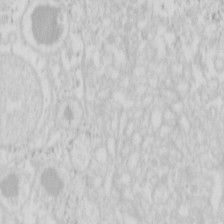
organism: Mouse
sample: Pancreas